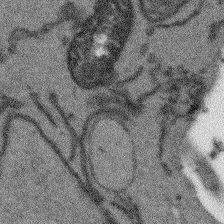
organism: Arabidopsis thaliana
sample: Root tip